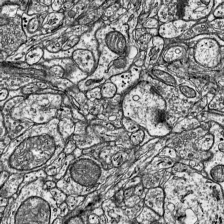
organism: Mouse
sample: Visual Cortex